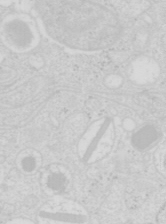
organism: Mouse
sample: Pancreas